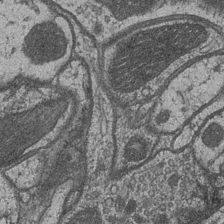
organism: Drosophila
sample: Optic medulla